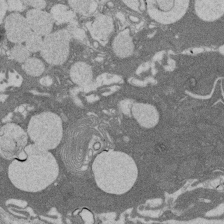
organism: Rat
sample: Salivary granule